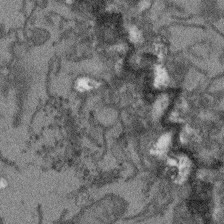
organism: Arabidopsis thaliana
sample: Root tip